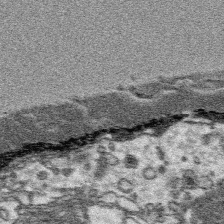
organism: Platynereis dumerilii